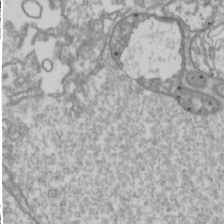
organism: Drosophila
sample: Cell division; meiosis; drosophila spermatocytes